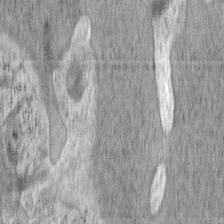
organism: Human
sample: HeLa cells